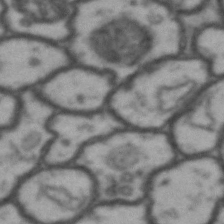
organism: Drosophila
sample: Brain